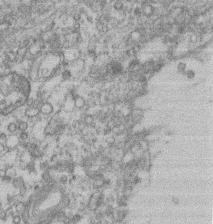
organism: Mouse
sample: T cell stromal cell synapse